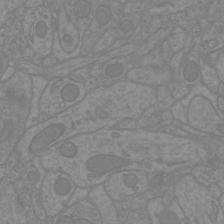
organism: Mouse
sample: Cortical neurons